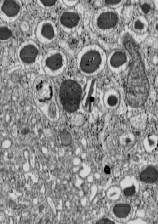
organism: C57BL Mouse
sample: Pancreatic islet